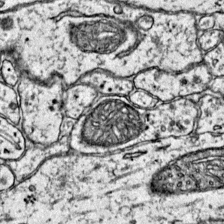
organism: Mouse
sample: Primary visual cortex